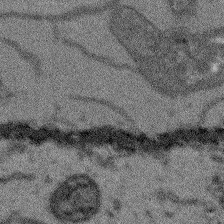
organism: Arabidopsis thaliana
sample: Root tip